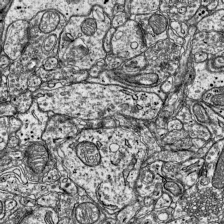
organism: Mouse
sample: Visual Cortex